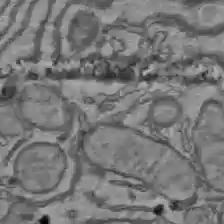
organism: C57BL Mouse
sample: Liver